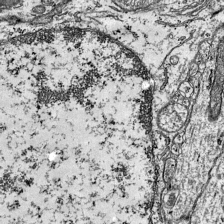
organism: Mouse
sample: Visual Cortex